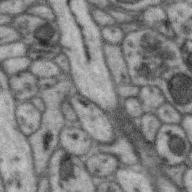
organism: Zebra finch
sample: Brain